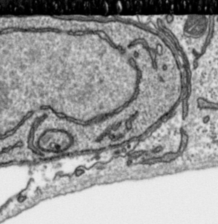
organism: Toxoplasma gondii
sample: Parasites in a vacuole inside a host cell